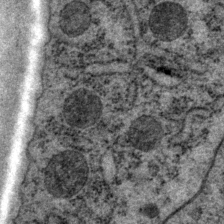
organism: P. pacificus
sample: Pharynx